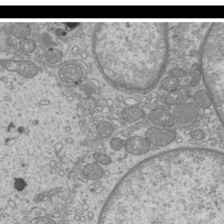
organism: Mouse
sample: Cilia; mouse epididymis